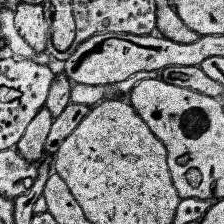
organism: Human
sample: Temporal Lobe